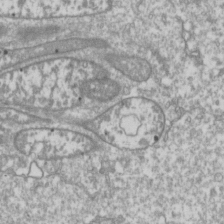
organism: Drosophila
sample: Cell division; meiosis; drosophila spermatocytes